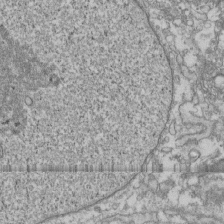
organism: Human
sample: Fibroblast cells